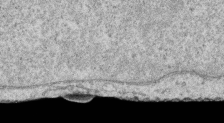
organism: Human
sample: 1205lu cells